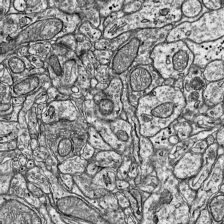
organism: Mouse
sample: Visual Cortex